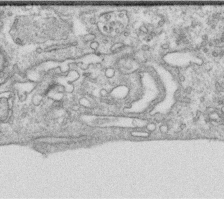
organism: Human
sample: Centriole in RPE cells